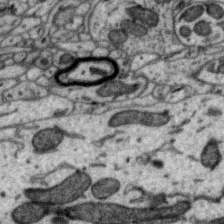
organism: Zebra finch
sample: Brain